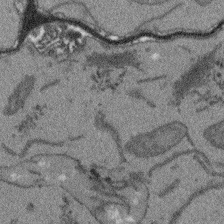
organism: Arabidopsis thaliana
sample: Root tip